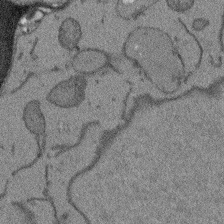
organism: Arabidopsis thaliana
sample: Root tip